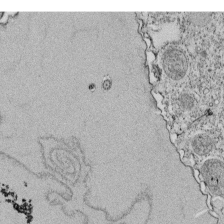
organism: Tetrahymena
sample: Cilia in tetrahymena